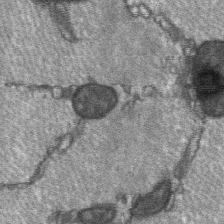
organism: C57BL Mouse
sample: Soleus